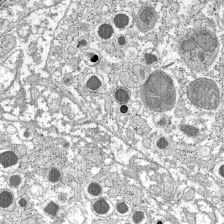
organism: C57BL Mouse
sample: Pancreatic islet